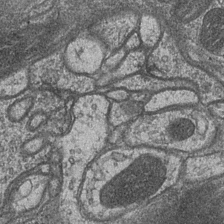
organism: Drosophila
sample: Optic medulla